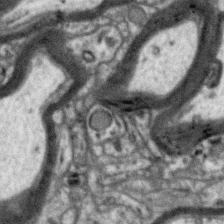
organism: Zebra finch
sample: Brain